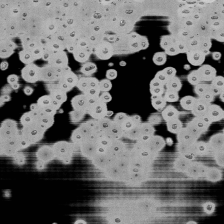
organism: Mouse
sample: Activated Pmel transgenic CD8+ T Cells